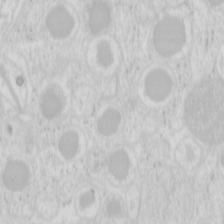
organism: Mouse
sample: Pancreas